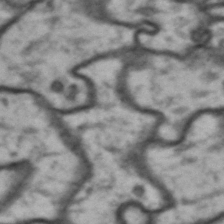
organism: Drosophila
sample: Brain